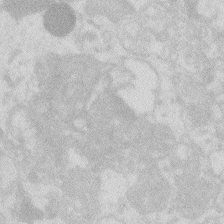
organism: Zebrafish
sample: Macrophage